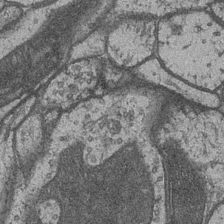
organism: Drosophila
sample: Optic medulla